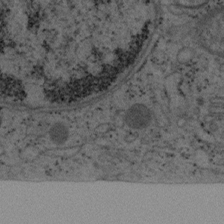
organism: Human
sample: HeLa cells